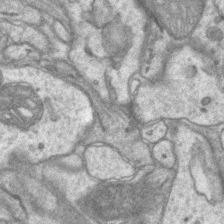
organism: Mouse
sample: CA1 Hippocampus